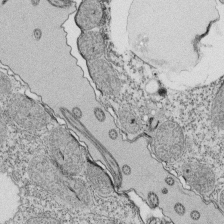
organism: Tetrahymena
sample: Cilia in tetrahymena